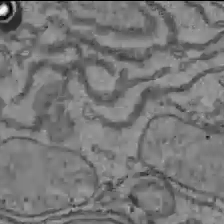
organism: C57BL Mouse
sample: Liver